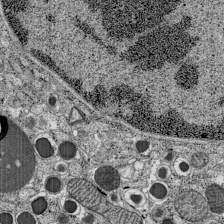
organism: C57BL Mouse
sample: Pancreatic islet